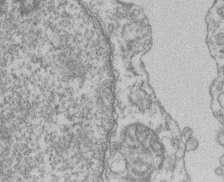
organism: Mouse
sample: T cell stromal cell synapse